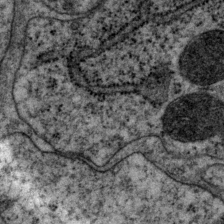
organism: P. pacificus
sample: Pharynx